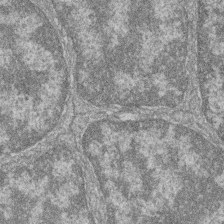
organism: Zebrafish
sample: Cilia; retinal pigment epithelium